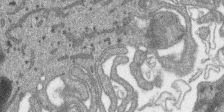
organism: Human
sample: Lung epithelial cells infected with SARS-CoV-2